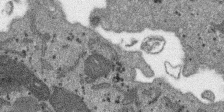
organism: Human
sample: Lung epithelial cells infected with SARS-CoV-2